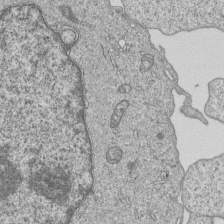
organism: Human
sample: MDA-MB-231 cells